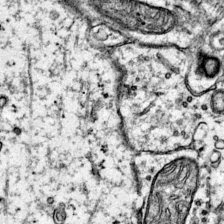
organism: Mouse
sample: Primary visual cortex